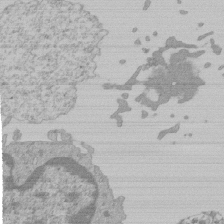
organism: Mouse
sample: Activated Pmel transgenic CD8+ T Cells